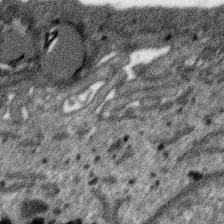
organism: Human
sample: Lung epithelial cells infected with SARS-CoV-2